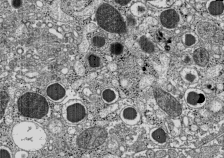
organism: C57BL Mouse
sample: Pancreatic islet